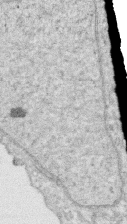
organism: Human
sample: HeLa cell HIV synapse